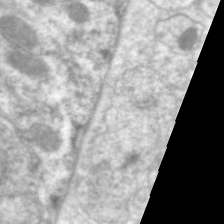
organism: C. elegans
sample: Pharynx